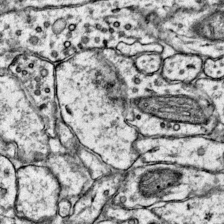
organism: Mouse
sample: Primary visual cortex